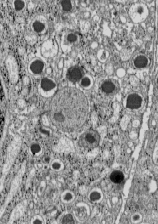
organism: C57BL Mouse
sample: Pancreatic islet